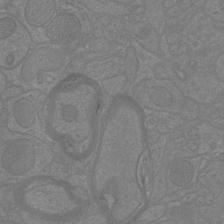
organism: Mouse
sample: Cortical neurons